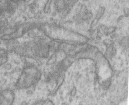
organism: Human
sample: Centriole in RPE cells